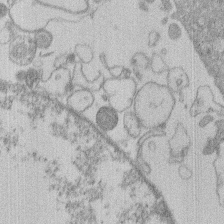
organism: Human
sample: Macrophage cells